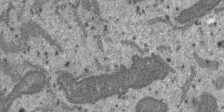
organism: Human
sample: Lung epithelial cells infected with SARS-CoV-2